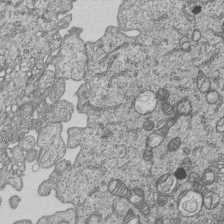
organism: Human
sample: MDA-MB-231 cells